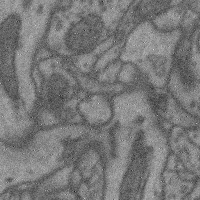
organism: Mouse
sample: Cerebral cortex